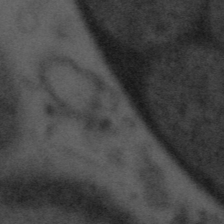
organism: Tuwongella immobilis